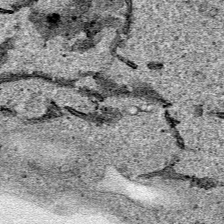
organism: Human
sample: Mitochondria in HCT116 cells